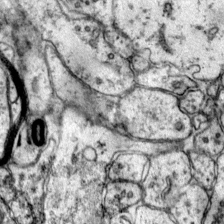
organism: Mouse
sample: Primary visual cortex